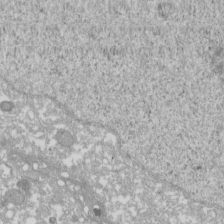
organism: Xenopus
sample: Cilia; centrioles in frog embryo cells